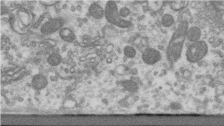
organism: Human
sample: Centriole in RPE cells